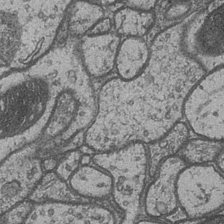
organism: Drosophila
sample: Optic medulla